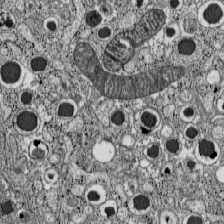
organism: C57BL Mouse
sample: Pancreatic islet